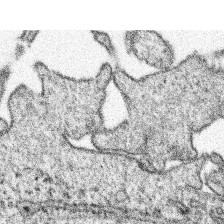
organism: Human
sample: HeLa cells